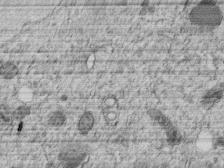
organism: C. elegans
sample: C. elegans embryo early stage